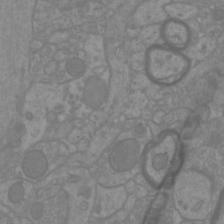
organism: Mouse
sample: Cortical neurons